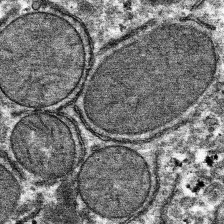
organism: Mouse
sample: Mouse hepatocytes